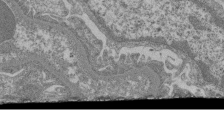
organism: Mouse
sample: Glomerulus